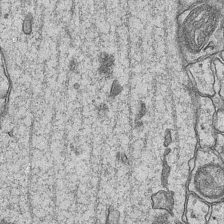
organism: Mouse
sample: CA1 Hippocampus